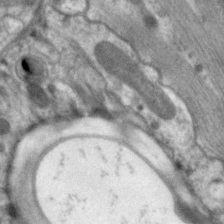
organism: C. elegans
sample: Pharynx